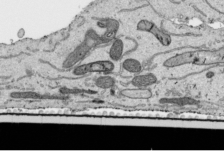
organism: Human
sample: Mitochondria in HCT116 cells